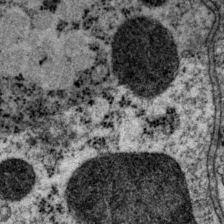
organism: P. pacificus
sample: Pharynx